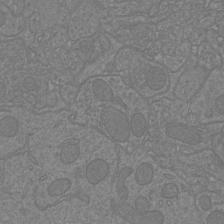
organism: Mouse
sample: Cortical neurons